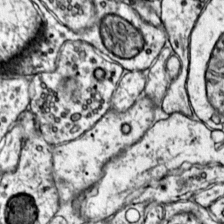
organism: Mouse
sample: Primary visual cortex